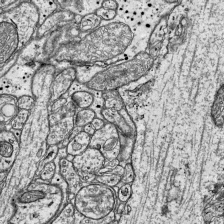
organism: Mouse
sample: Visual Cortex